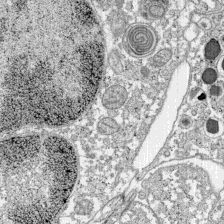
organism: C57BL Mouse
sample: Pancreatic islet